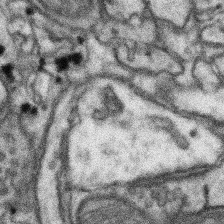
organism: Mouse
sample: Somatosensory cortex neuropil